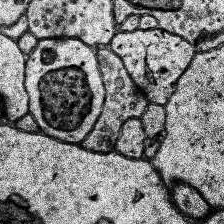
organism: Human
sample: Temporal Lobe